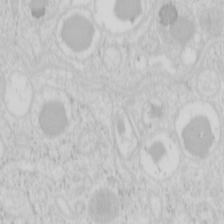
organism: Mouse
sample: Pancreas